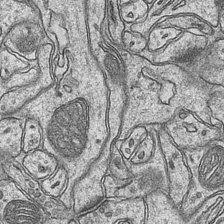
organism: Mouse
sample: CA1 Hippocampus